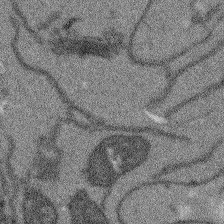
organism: Arabidopsis thaliana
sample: Root tip